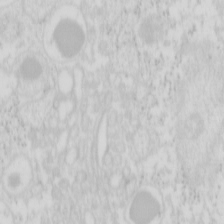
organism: Mouse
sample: Pancreas